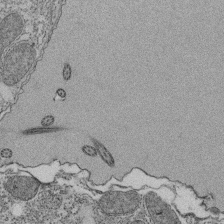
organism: Tetrahymena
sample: Cilia in tetrahymena